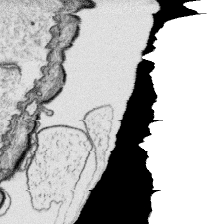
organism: Platynereis dumerilii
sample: Parapodia